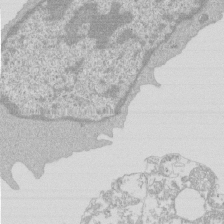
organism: Mouse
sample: Activated Pmel transgenic CD8+ T Cells